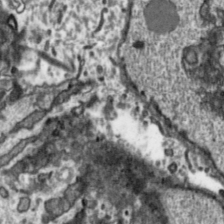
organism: Toxoplasma gondii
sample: Parasites in a vacuole inside a host cell